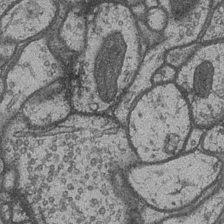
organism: Drosophila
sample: Optic medulla